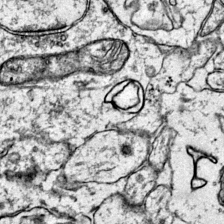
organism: Mouse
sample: Primary visual cortex